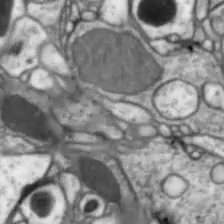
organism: Drosophila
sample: Optic lobe